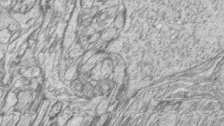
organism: Zebrafish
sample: synaptic ribbons in rod cells and cone cells